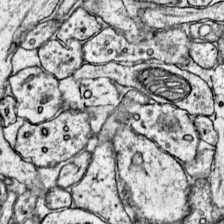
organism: Mouse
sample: Primary visual cortex